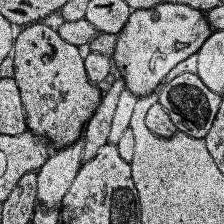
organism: Human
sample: Temporal Lobe